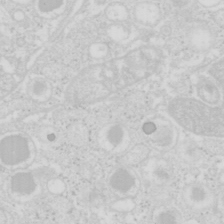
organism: Mouse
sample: Pancreas